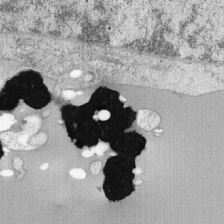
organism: Human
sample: HeLa cells